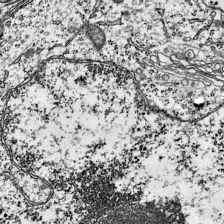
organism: Mouse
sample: Visual Cortex